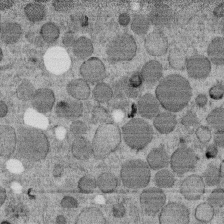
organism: C. elegans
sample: C. elegans embryo early stage